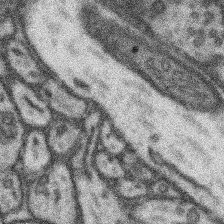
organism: Mouse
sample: Somatosensory cortex neuropil